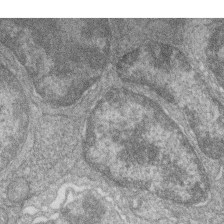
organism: Zebrafish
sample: Cilia; retinal pigment epithelium